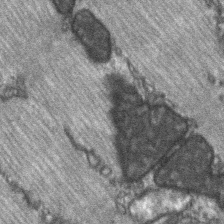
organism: C57BL Mouse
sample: Soleus